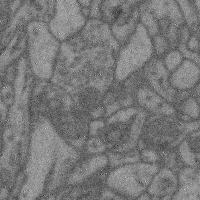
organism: Mouse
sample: Cerebral cortex